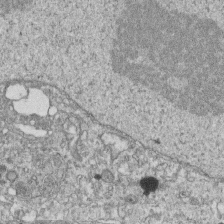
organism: Human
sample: HeLa cell HIV synapse